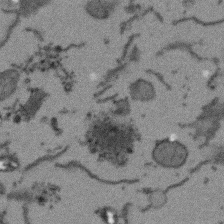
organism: Arabidopsis thaliana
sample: Root tip